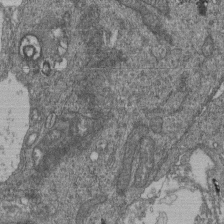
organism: Human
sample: Retinal organoid Rod and Cone cells